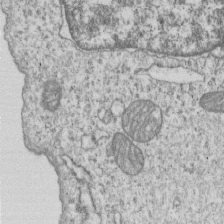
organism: Human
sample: MDA-MB-231 cells